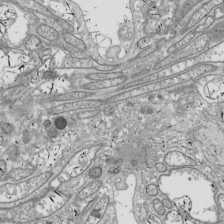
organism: Drosophila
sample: Cell division; meiosis; drosophila spermatocytes